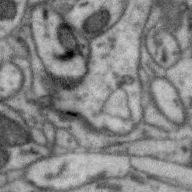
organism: Zebra finch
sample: Brain